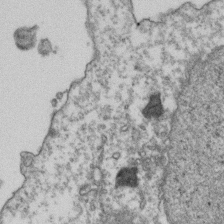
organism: Human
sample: Activated Jurkat CD4+ T cells